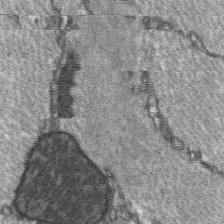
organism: C57BL Mouse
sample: Soleus